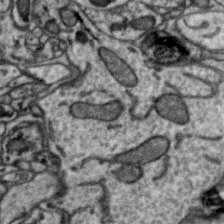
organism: Zebra finch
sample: Brain